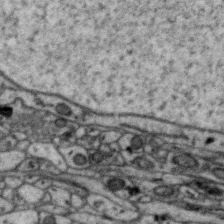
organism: Zebra finch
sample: Brain